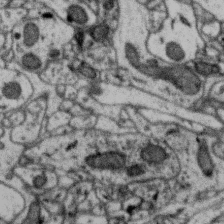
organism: Zebra finch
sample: Brain